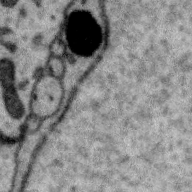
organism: Zebra finch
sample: Brain